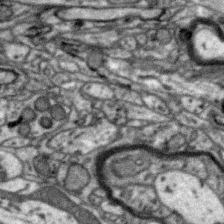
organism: Zebra finch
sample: Brain